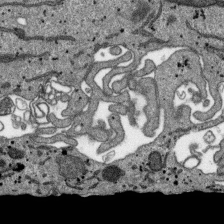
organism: Human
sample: Lung epithelial cells, uninfected (mock) control